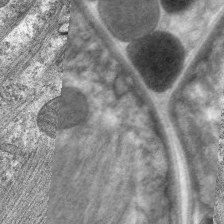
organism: C. elegans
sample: Pharynx